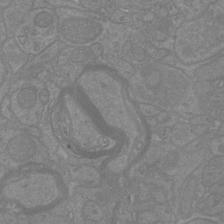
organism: Mouse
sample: Cortical neurons